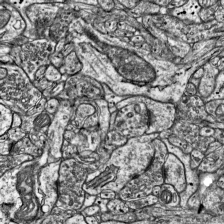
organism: Mouse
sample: Visual Cortex